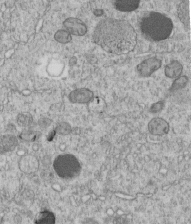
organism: C. elegans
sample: C. elegans embryo early stage